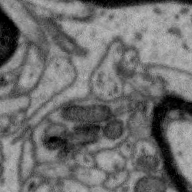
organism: Zebra finch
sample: Brain